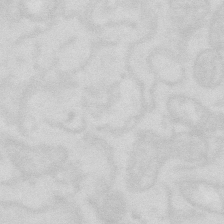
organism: Human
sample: HeLa cells